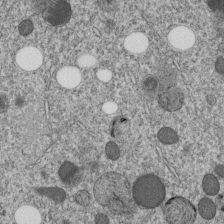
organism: C. elegans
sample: C. elegans embryo early stage